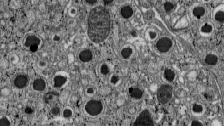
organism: C57BL Mouse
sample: Pancreatic islet